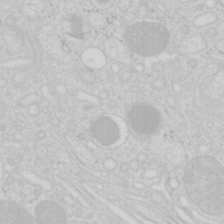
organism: Mouse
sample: Pancreas